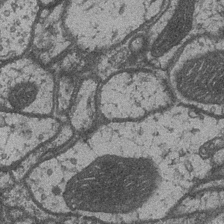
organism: Drosophila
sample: Optic medulla